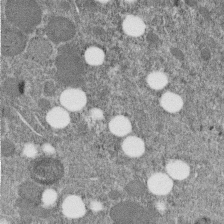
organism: C. elegans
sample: C. elegans embryo early stage